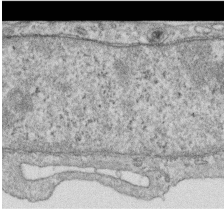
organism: Human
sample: Centriole in RPE cells